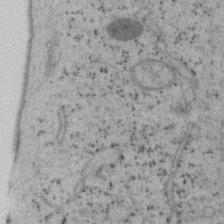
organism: Human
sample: HeLa cells